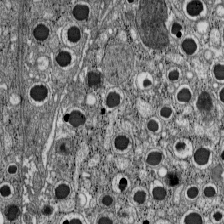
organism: C57BL Mouse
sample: Pancreatic islet